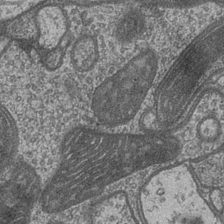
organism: Drosophila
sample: Optic medulla